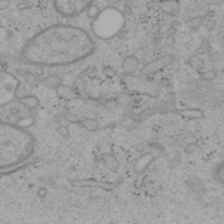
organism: Human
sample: HeLa cells